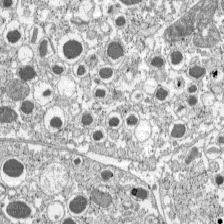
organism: C57BL Mouse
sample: Pancreatic islet